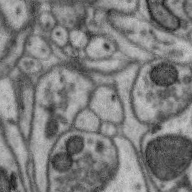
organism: Zebra finch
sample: Brain